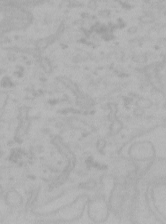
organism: Mouse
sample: Choroid plexus